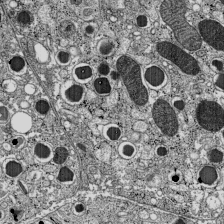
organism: C57BL Mouse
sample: Pancreatic islet